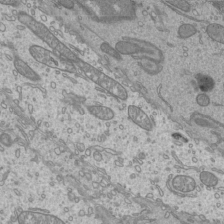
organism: Mouse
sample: Cilia; mouse epididymis